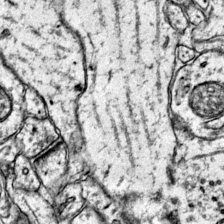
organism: Mouse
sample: Primary visual cortex